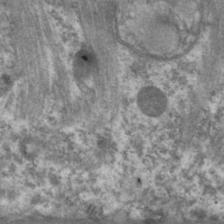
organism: C. elegans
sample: Pharynx